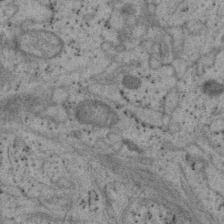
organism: Human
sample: HeLa cells